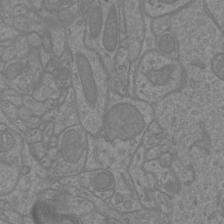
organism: Mouse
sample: Cortical neurons